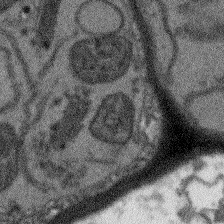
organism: Arabidopsis thaliana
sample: Root tip